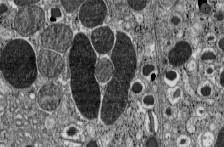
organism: C57BL Mouse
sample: Pancreatic islet